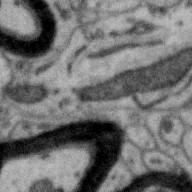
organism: Zebra finch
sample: Brain